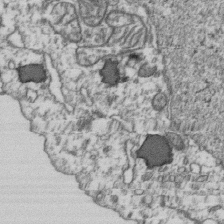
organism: Human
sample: Activated Jurkat CD4+ T cells